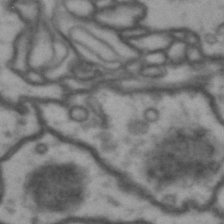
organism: Drosophila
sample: Brain